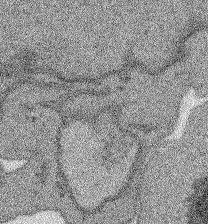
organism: Human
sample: HeLa cells